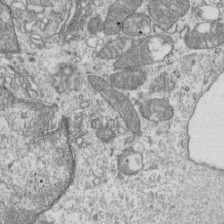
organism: Mouse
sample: Activated OT-1 CD8+ T cells